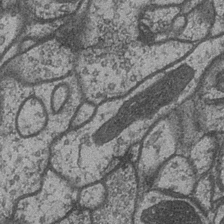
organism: Drosophila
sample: Optic medulla